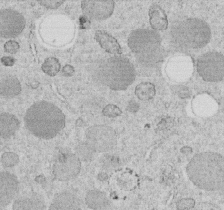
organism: C. elegans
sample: C. elegans embryo early stage